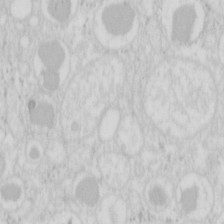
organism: Mouse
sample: Pancreas